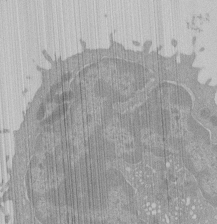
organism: Mouse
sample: Activated Pmel transgenic CD8+ T Cells